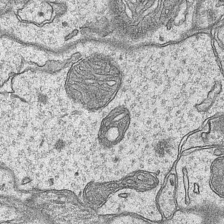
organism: Mouse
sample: CA1 Hippocampus